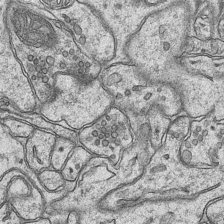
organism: Mouse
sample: CA1 Hippocampus